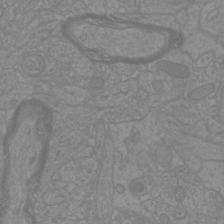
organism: Mouse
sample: Cortical neurons